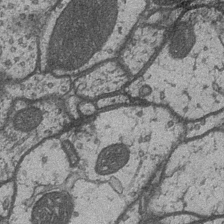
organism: Drosophila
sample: Optic medulla